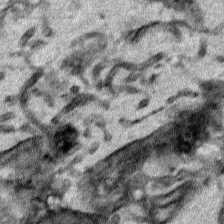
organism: Human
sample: Mitochondria in HCT116 cells